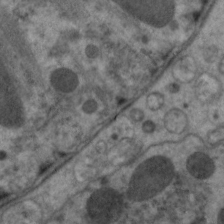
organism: C. elegans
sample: Pharynx